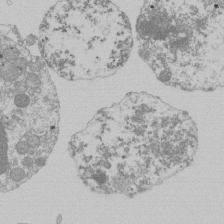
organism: Mouse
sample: Activated Pmel transgenic CD8+ T Cells